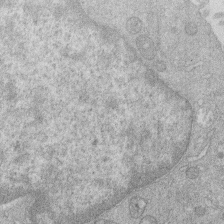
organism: Human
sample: Macrophage cells